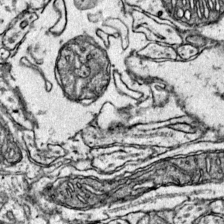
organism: Mouse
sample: Primary visual cortex